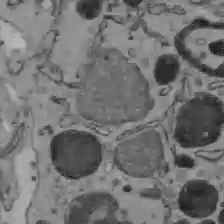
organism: C57BL Mouse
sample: Liver